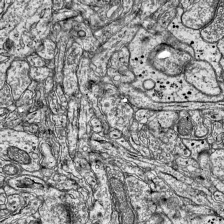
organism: Mouse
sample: Visual Cortex